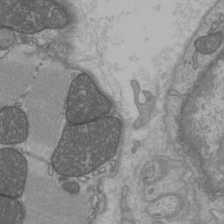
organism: C57BL Mouse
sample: Heart